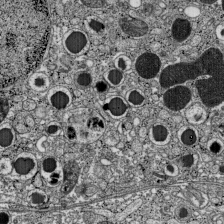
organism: C57BL Mouse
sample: Pancreatic islet